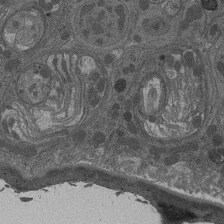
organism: Drosophila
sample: Antenna